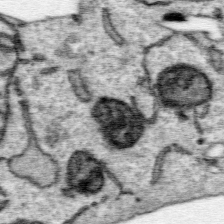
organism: Human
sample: HeLa cells